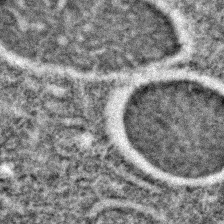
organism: C. elegans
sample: C. elegans embryo